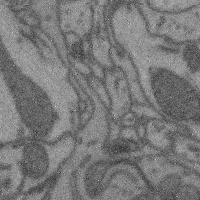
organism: Mouse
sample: Cerebral cortex